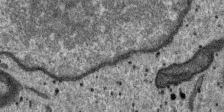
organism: Human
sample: Lung epithelial cells, uninfected (mock) control